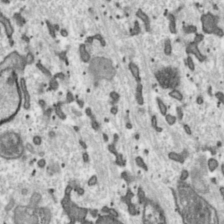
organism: Toxoplasma gondii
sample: Parasites in a vacuole inside a host cell